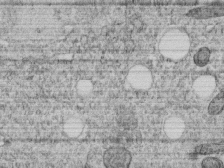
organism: C. elegans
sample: C. elegans embryo early stage